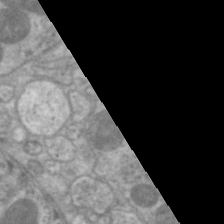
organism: C. elegans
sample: Pharynx